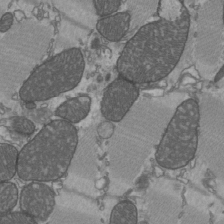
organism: C57BL Mouse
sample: Heart